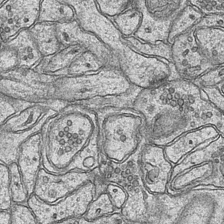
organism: Mouse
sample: CA1 Hippocampus